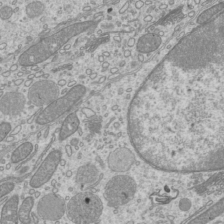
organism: Mouse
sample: Cilia; mouse epididymis